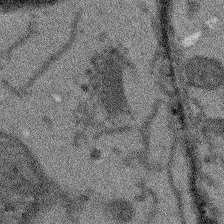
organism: Arabidopsis thaliana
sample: Root tip